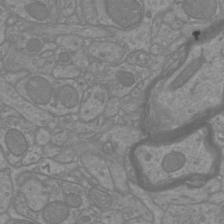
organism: Mouse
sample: Cortical neurons